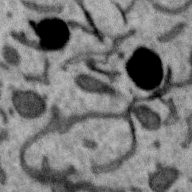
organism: Zebra finch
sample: Brain